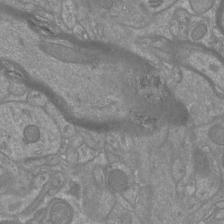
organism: Mouse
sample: Cortical neurons